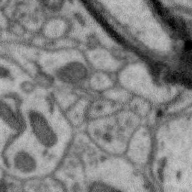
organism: Zebra finch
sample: Brain